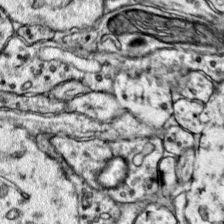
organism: Mouse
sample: Primary visual cortex